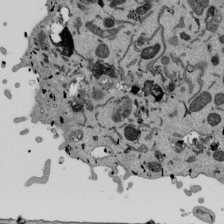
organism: Mouse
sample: ED-1 cell nuclei; centrioles